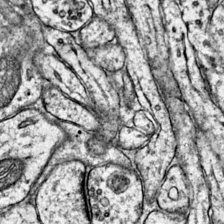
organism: Mouse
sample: Primary visual cortex